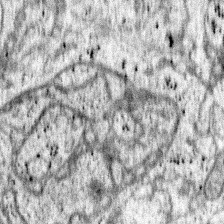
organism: Human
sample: HeLa cells